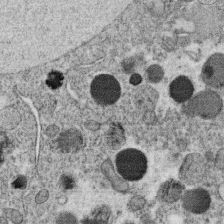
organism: C. elegans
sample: C. elegans oocyte; sperm cells